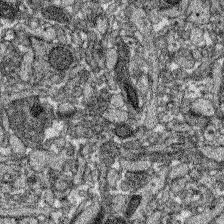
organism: Zebrafish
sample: Larval olfactory bulb